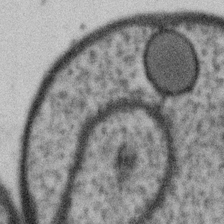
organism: Gemmata obscuriglobus